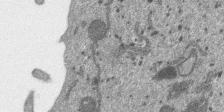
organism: Human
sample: Lung epithelial cells infected with SARS-CoV-2